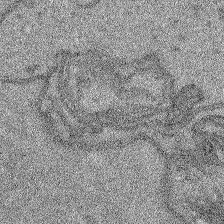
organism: Human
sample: HeLa cells